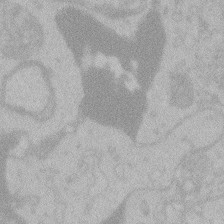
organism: Zebrafish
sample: Macrophage infected with Toxoplasma gondii